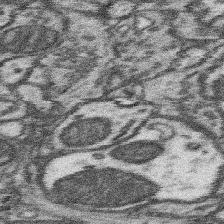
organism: Mouse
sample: Somatosensory cortex neuropil